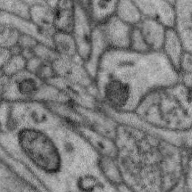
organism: Zebra finch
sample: Brain